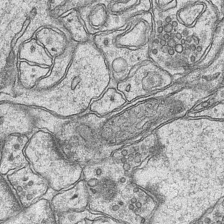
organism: Mouse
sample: CA1 Hippocampus